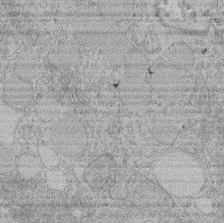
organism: Rat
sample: Salivary granule